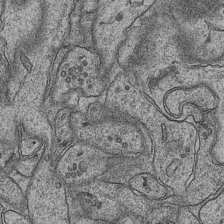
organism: Mouse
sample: CA1 Hippocampus